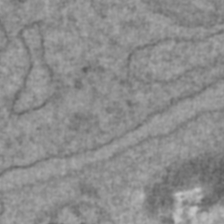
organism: Human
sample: Blood